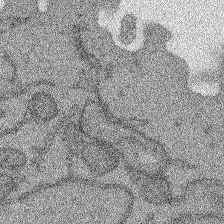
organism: Human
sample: HeLa cells